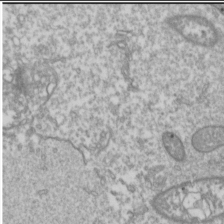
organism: Drosophila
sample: Cell division; meiosis; drosophila spermatocytes